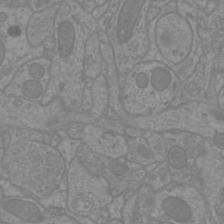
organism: Mouse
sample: Cortical neurons